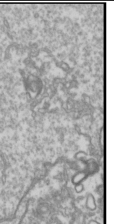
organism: Drosophila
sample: Cell division; meiosis; drosophila spermatocytes